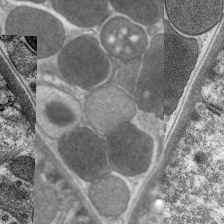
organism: C. elegans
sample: Pharynx